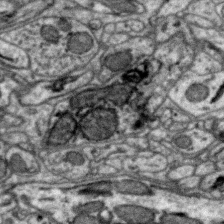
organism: Zebra finch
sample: Brain